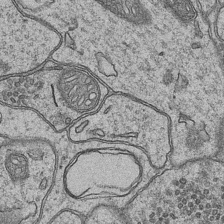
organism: Mouse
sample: CA1 Hippocampus